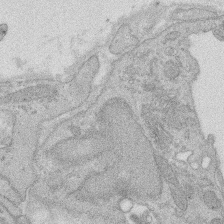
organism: Rat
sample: Salivary granule